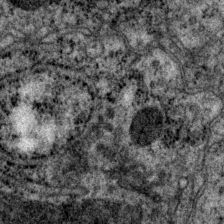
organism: P. pacificus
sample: Pharynx